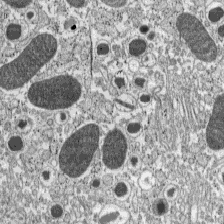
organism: C57BL Mouse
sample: Pancreatic islet